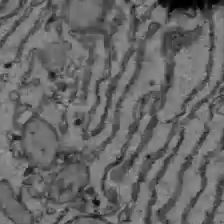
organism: C57BL Mouse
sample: Liver